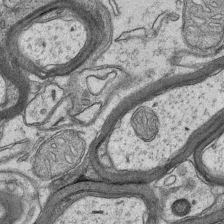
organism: Mouse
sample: CA1 Hippocampus